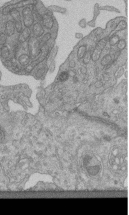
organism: Human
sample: Retinal organoid Rod and Cone cells